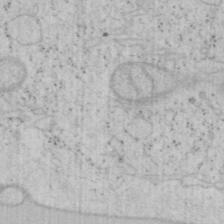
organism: Human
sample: HeLa cells